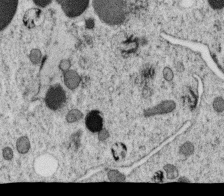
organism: C. elegans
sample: C. elegans oocyte; sperm cells